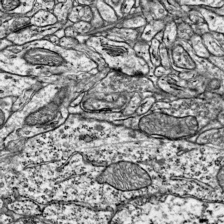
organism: Mouse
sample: Visual Cortex